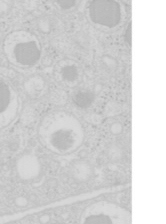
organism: Mouse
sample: Pancreas